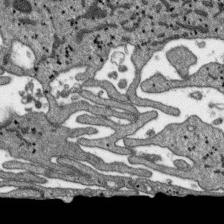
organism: Human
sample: Lung epithelial cells, uninfected (mock) control